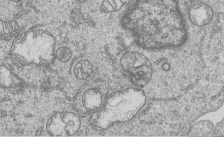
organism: Human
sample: MDA-MB-231 cells